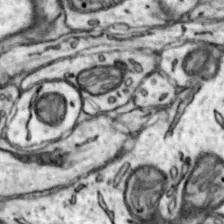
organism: Mouse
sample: Nucleus accumbens